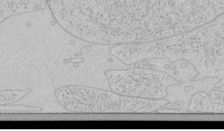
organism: Human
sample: Mitochondria in HCT116 cells